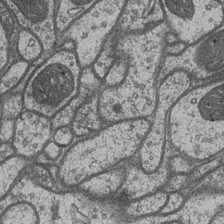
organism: Drosophila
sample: Optic medulla